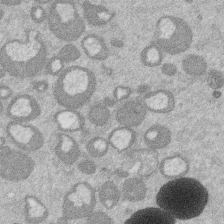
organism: Mouse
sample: Dividing mouse embryo 1 cell stage